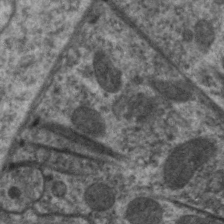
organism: C. elegans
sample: Pharynx